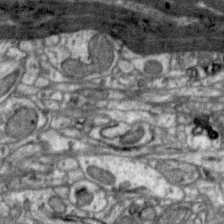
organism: Zebra finch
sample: Brain